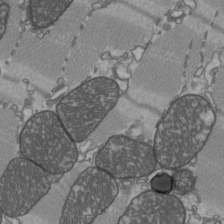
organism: C57BL Mouse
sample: Heart